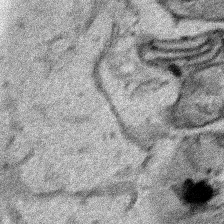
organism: Human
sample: Mitochondria in HCT116 cells